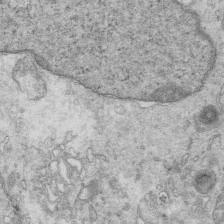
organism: Mouse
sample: Multiciliated cells